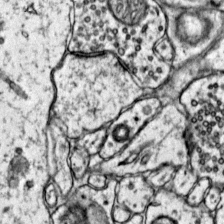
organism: Mouse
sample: Primary visual cortex